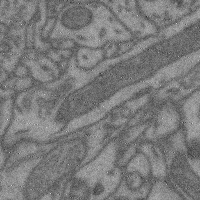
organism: Mouse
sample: Cerebral cortex